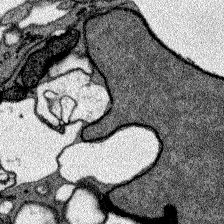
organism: Zebrafish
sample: Larval olfactory bulb